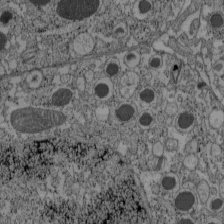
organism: C57BL Mouse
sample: Pancreatic islet